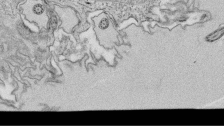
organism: Tetrahymena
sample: Cilia in tetrahymena